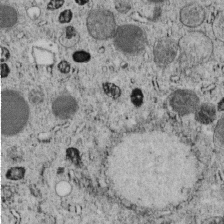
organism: C. elegans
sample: C. elegans embryo early stage